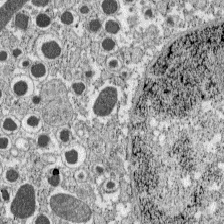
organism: C57BL Mouse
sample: Pancreatic islet